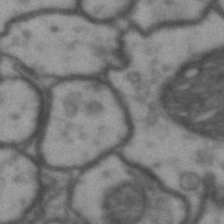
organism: Drosophila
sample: Brain